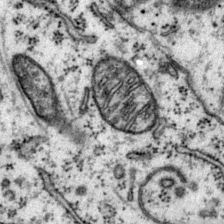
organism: Mouse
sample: Primary visual cortex